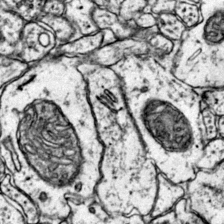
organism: Mouse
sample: Primary visual cortex